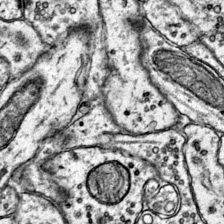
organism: Mouse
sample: Primary visual cortex